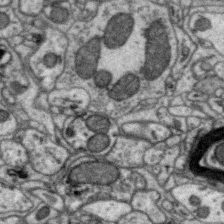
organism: Zebra finch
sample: Brain